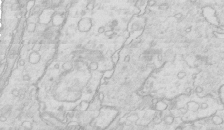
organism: Mouse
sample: Multiciliated cells